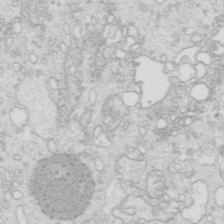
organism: Mouse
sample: Multiciliated cells